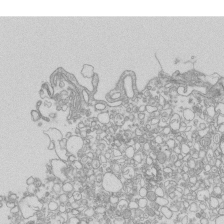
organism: Mouse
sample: Macrophages